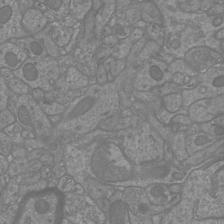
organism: Mouse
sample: Cortical neurons